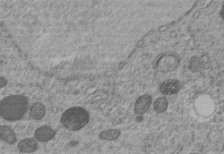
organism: C. elegans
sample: C. elegans embryo early stage